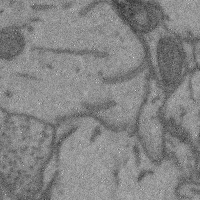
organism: Mouse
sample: Cerebral cortex